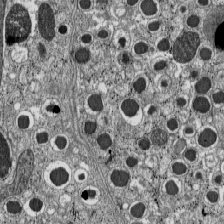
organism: C57BL Mouse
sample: Pancreatic islet